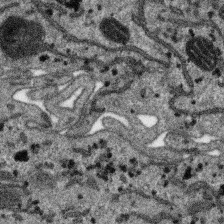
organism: Human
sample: Lung epithelial cells infected with SARS-CoV-2